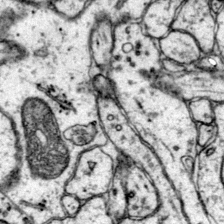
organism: Mouse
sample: Primary visual cortex